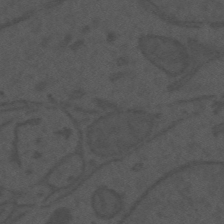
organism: Mouse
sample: Suprachiasmatic nucleus